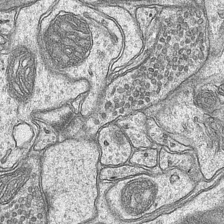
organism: Mouse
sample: CA1 Hippocampus